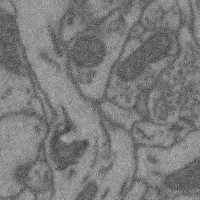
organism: Mouse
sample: Cerebral cortex